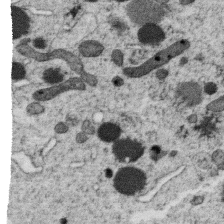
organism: C. elegans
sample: C. elegans oocyte; sperm cells